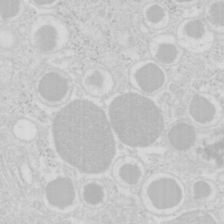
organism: Mouse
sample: Pancreas